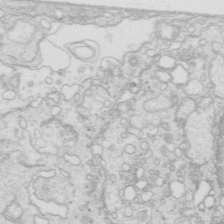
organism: Mouse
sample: Multiciliated cells